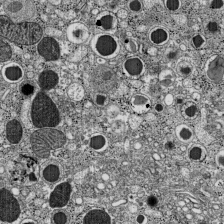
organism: C57BL Mouse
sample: Pancreatic islet